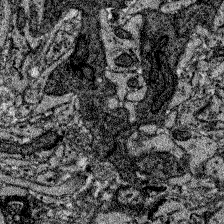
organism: Zebrafish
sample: Larval olfactory bulb